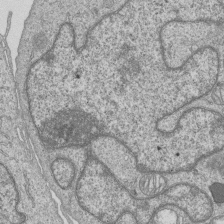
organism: Human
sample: MDA-MB-231 cells